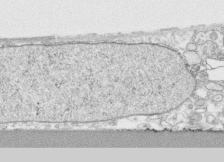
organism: Human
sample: CRL-1474